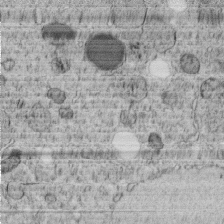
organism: C. elegans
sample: C. elegans embryo early stage